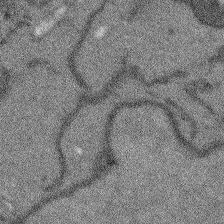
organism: Arabidopsis thaliana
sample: Root tip